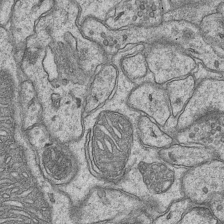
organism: Mouse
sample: CA1 Hippocampus